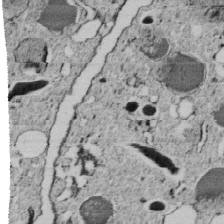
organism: C. elegans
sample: C. elegans embryo early stage